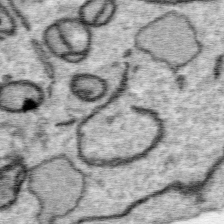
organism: Human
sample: HeLa cells